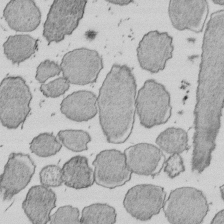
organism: E. coli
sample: Bacterial nucleoid